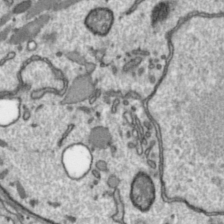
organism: Toxoplasma gondii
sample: Parasites in a vacuole inside a host cell